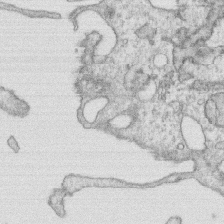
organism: Human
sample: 1205lu cells